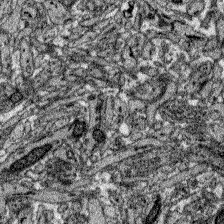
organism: Zebrafish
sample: Larval olfactory bulb